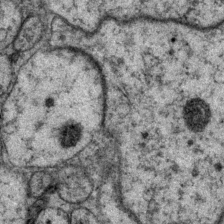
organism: P. pacificus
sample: Pharynx